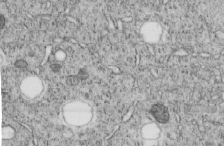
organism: C. elegans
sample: C. elegans embryo early stage